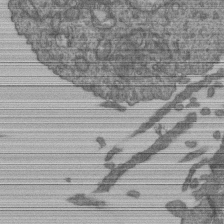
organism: Human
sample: Retinal organoid Rod and Cone cells